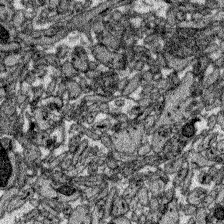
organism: Zebrafish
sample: Larval olfactory bulb